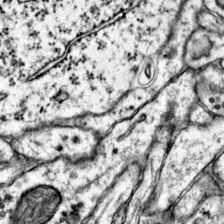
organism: Mouse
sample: Primary visual cortex